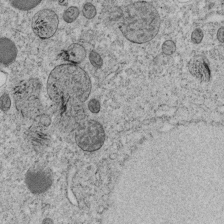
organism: C. elegans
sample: C. elegans embryo early stage